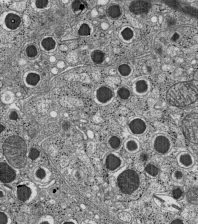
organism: C57BL Mouse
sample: Pancreatic islet